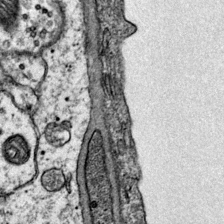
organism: Mouse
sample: Primary visual cortex